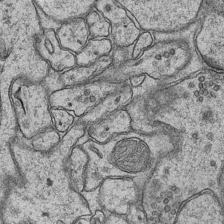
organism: Mouse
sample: CA1 Hippocampus